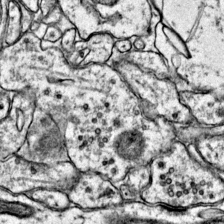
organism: Mouse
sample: Primary visual cortex